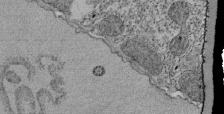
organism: Tetrahymena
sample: Cilia in tetrahymena